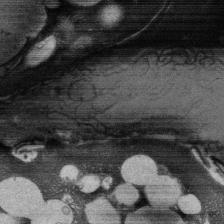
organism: Rat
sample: Salivary granule